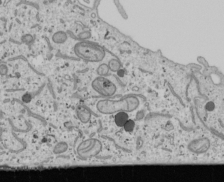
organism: Human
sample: Mitochondria in U2OS cells